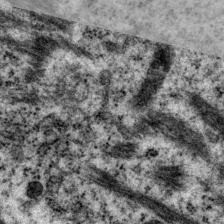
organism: P. pacificus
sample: Pharynx